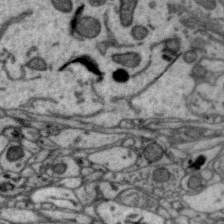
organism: Zebra finch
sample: Brain